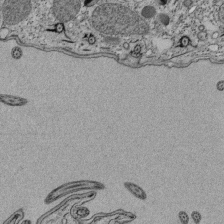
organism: Tetrahymena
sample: Cilia in tetrahymena